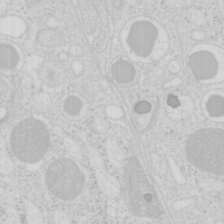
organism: Mouse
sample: Pancreas